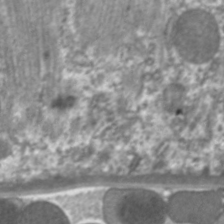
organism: C. elegans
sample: Pharynx